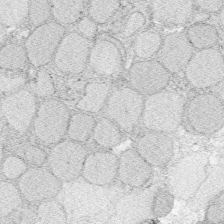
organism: Zebrafish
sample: Whole-Brain